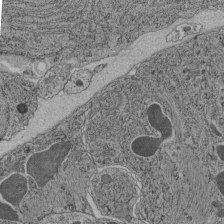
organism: C. elegans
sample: C. elegans pharynx